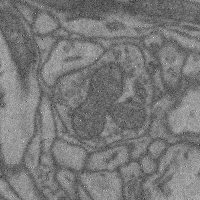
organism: Mouse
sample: Cerebral cortex